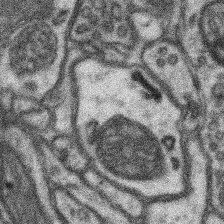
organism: Mouse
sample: Somatosensory cortex neuropil